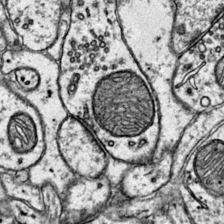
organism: Mouse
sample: Primary visual cortex